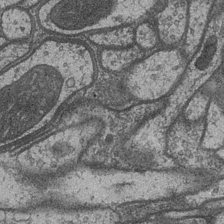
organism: Drosophila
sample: Optic medulla